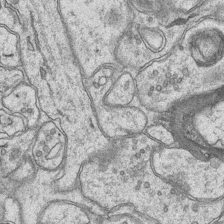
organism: Mouse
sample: CA1 Hippocampus